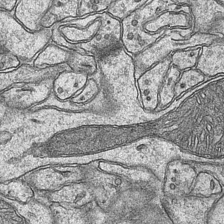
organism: Mouse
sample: CA1 Hippocampus